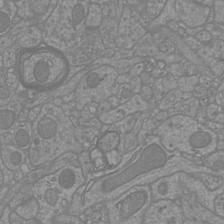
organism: Mouse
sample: Cortical neurons